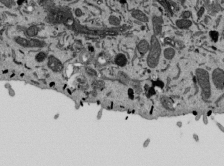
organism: Mouse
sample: ED-1 cell nuclei; centrioles